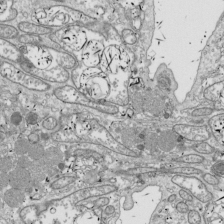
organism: Drosophila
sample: Cell division; meiosis; drosophila spermatocytes